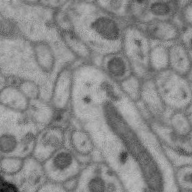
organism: Zebra finch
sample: Brain